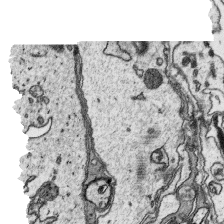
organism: Platynereis dumerilii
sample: Parapodia